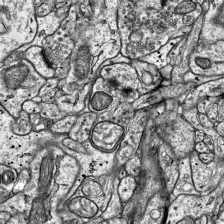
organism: Mouse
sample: Visual Cortex